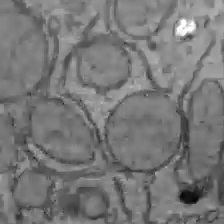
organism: C57BL Mouse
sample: Liver